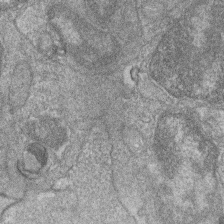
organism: Zebrafish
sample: Cilia; retinal pigment epithelium